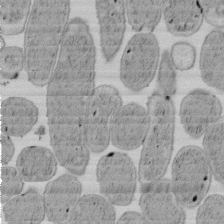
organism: E. coli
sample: Bacterial nucleoid